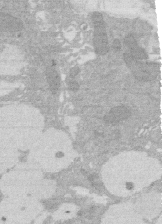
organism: Rat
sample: Salivary granule